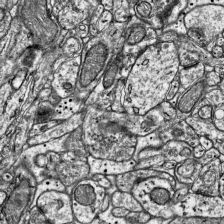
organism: Mouse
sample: Visual Cortex